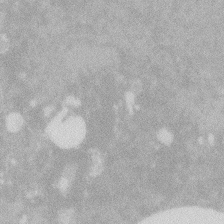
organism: Zebrafish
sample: Macrophage